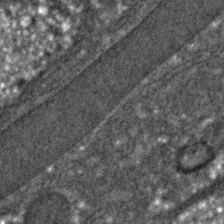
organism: C. elegans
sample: C. elegans embryo